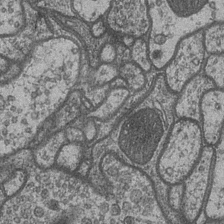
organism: Drosophila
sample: Optic medulla